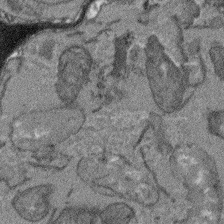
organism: Arabidopsis thaliana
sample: Root tip